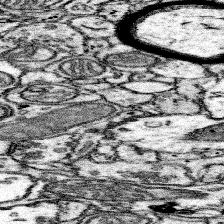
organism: Mouse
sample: Somatosensory cortex neuropil